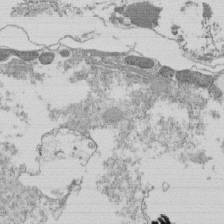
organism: Tetrahymena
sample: Cilia in tetrahymena